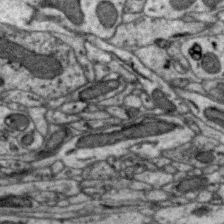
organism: Zebra finch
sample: Brain